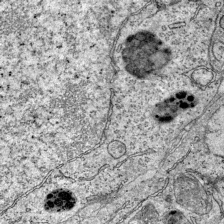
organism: Mouse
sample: Visual Cortex